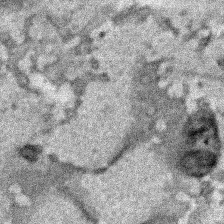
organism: Human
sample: Mitochondria in HCT116 cells